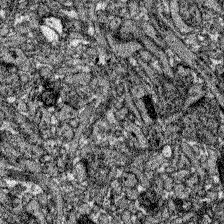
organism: Zebrafish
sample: Larval olfactory bulb